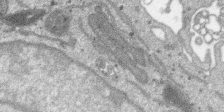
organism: Human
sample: Lung epithelial cells infected with SARS-CoV-2